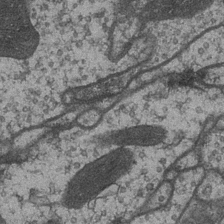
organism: Drosophila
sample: Optic medulla